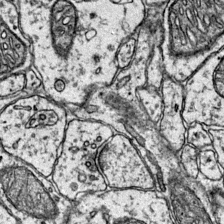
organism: Mouse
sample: Primary visual cortex